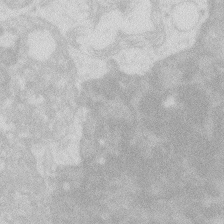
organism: Zebrafish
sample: Macrophage